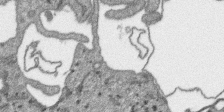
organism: Human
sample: Lung epithelial cells infected with SARS-CoV-2